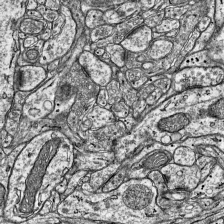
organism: Mouse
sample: Visual Cortex